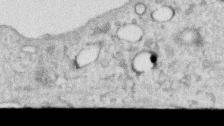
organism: Human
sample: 1205lu cells